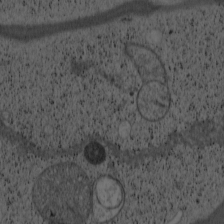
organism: African green monkey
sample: COS-7 cells